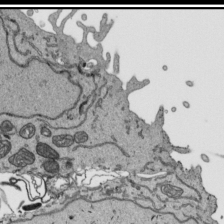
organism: Human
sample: Mitochondria in HCT116 cells